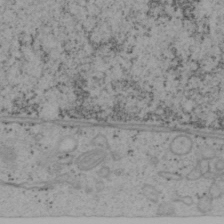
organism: Human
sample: HeLa cells